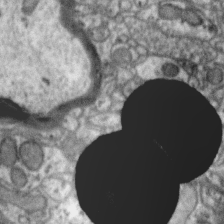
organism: Zebra finch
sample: Brain